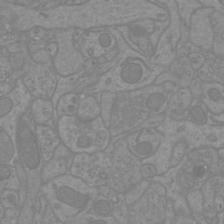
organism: Mouse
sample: Cortical neurons